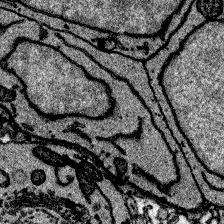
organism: Zebrafish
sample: Larval olfactory bulb